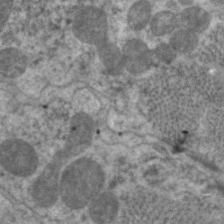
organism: C. elegans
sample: Pharynx